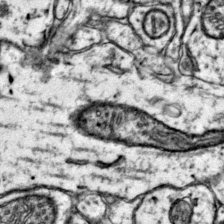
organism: Mouse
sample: Primary visual cortex